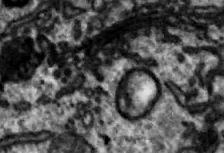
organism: Human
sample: HeLa cells